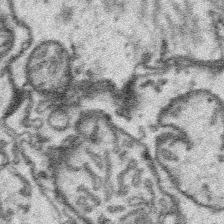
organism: Platynereis dumerilii